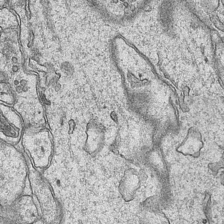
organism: Mouse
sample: CA1 Hippocampus